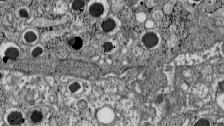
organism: C57BL Mouse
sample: Pancreatic islet